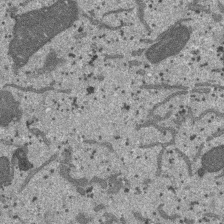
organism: Human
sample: Lung epithelial cells infected with SARS-CoV-2